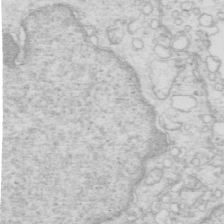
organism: Mouse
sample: Multiciliated cells